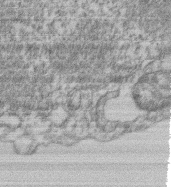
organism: Mouse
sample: T cell stromal cell synapse